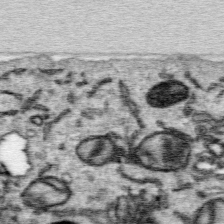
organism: Human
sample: HeLa cells